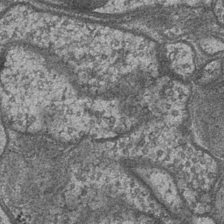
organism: Drosophila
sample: Optic medulla